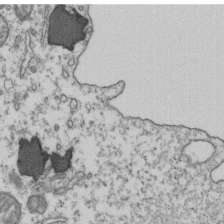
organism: Human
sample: Activated Jurkat CD4+ T cells